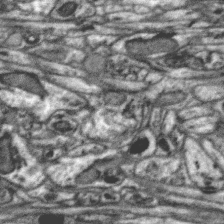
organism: Zebra finch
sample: Brain